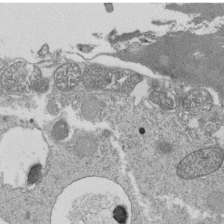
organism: Tetrahymena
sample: Cilia in tetrahymena